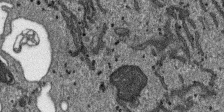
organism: Human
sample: Lung epithelial cells infected with SARS-CoV-2